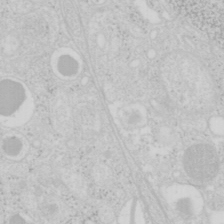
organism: Mouse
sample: Pancreas